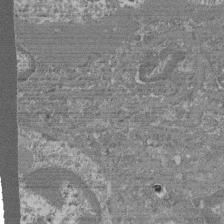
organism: Mouse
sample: Glomerulus